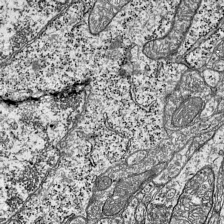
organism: Mouse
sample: Visual Cortex